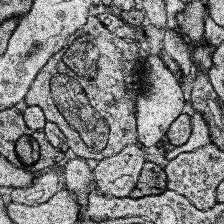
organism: Human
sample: Temporal Lobe